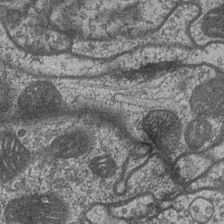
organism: Drosophila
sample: Optic medulla